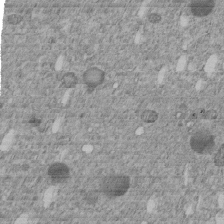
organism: C. elegans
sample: C. elegans embryo early stage